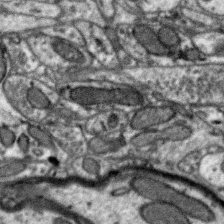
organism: Zebra finch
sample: Brain